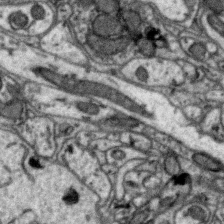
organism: Zebra finch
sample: Brain